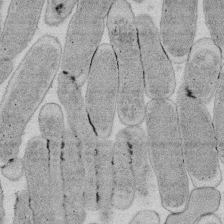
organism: E. coli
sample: Bacterial nucleoid